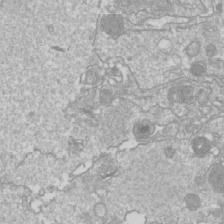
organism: Drosophila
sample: Cell division; meiosis; drosophila spermatocytes